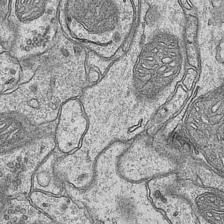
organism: Mouse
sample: CA1 Hippocampus